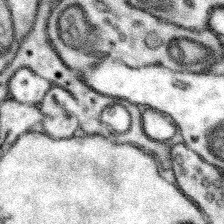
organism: Mouse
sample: Somatosensory cortex neuropil